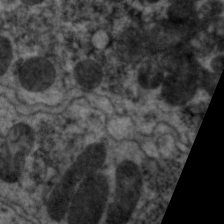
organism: C. elegans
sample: Pharynx